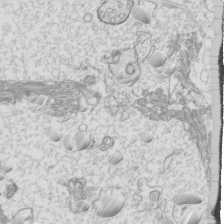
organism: Mouse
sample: Cilia; mouse epididymis